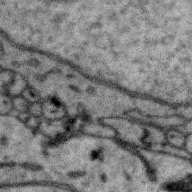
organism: Zebra finch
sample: Brain